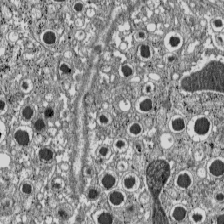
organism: C57BL Mouse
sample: Pancreatic islet